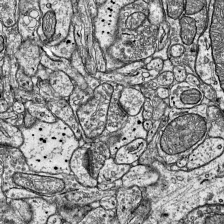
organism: Mouse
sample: Visual Cortex